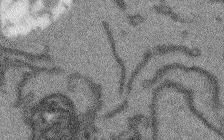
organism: Arabidopsis thaliana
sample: Root tip